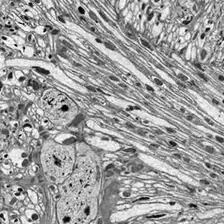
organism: Drosophila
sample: Optic lobe